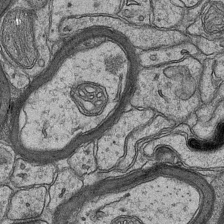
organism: Mouse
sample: CA1 Hippocampus